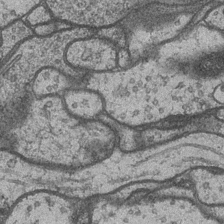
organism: Drosophila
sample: Optic medulla